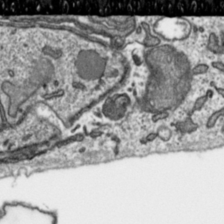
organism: Toxoplasma gondii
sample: Parasites in a vacuole inside a host cell